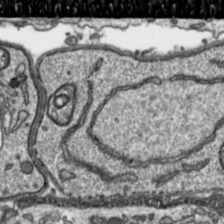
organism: Toxoplasma gondii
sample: Parasites in a vacuole inside a host cell